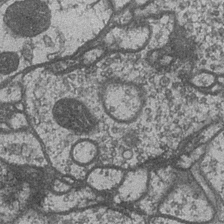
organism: Drosophila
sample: Optic medulla